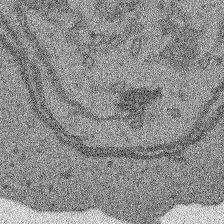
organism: Human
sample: HeLa cells